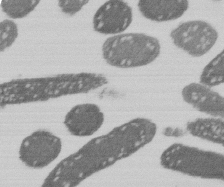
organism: E. coli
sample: Bacterial nucleoid